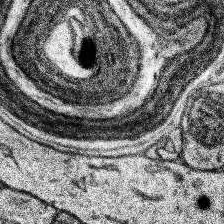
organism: Human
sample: Temporal Lobe